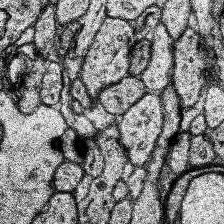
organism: Human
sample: Temporal Lobe